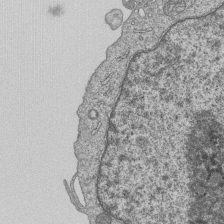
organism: Human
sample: MDA-MB-231 cells